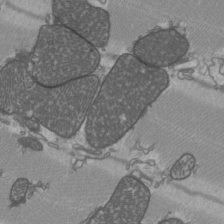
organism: C57BL Mouse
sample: Heart